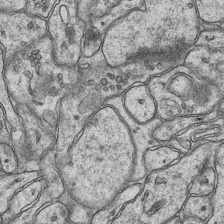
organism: Mouse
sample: CA1 Hippocampus